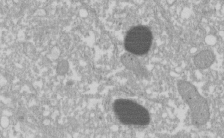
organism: Xenopus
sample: Cilia; centrioles in frog embryo cells